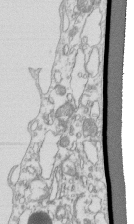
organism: Mouse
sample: Macrophages